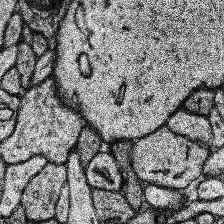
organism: Human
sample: Temporal Lobe